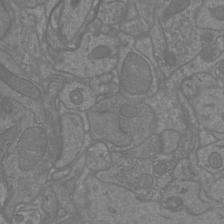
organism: Mouse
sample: Cortical neurons